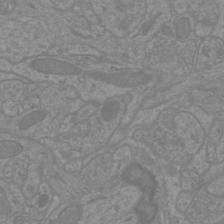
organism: Mouse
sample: Cortical neurons